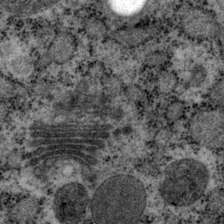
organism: P. pacificus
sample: Pharynx